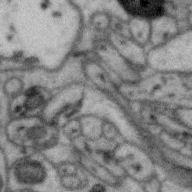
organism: Zebra finch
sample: Brain